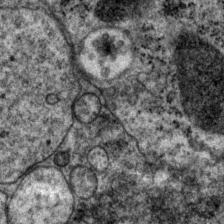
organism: P. pacificus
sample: Pharynx